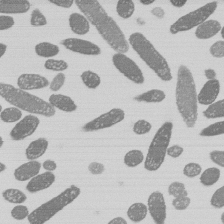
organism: E. coli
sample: Bacterial nucleoid